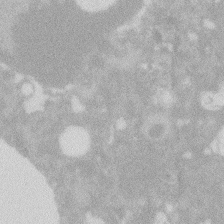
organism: Zebrafish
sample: Macrophage